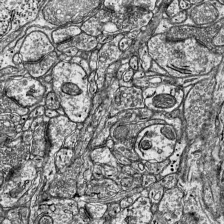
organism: Mouse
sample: Visual Cortex